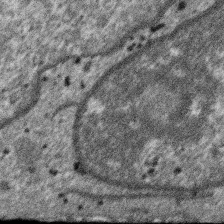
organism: Human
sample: Lung epithelial cells infected with SARS-CoV-2